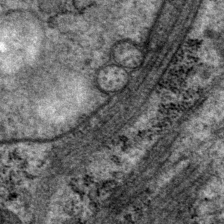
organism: P. pacificus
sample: Pharynx